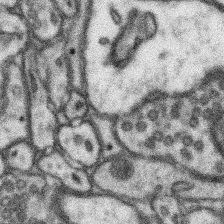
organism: Mouse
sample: Somatosensory cortex neuropil